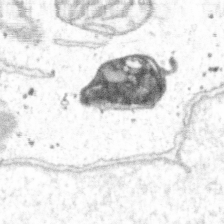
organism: Human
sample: HeLa cells